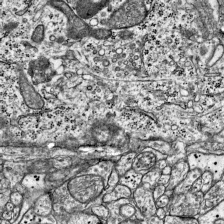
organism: Mouse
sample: Visual Cortex